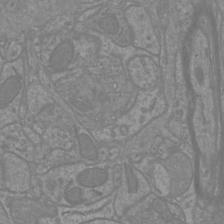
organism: Mouse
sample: Cortical neurons